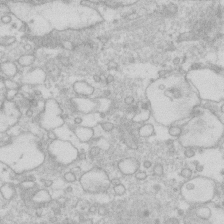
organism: Human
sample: Fibroblast cells